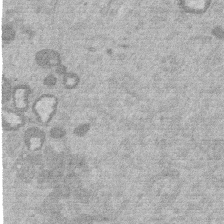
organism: Mouse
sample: Dividing mouse embryo 1 cell stage